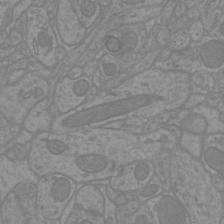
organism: Mouse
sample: Cortical neurons